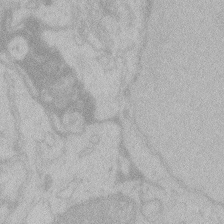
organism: Zebrafish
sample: Macrophage infected with Toxoplasma gondii